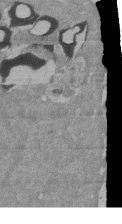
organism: Mouse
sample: ED-1 cell nuclei; centrioles